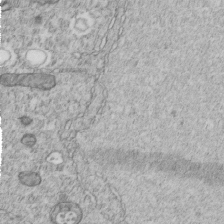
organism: C. elegans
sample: C. elegans embryo early stage